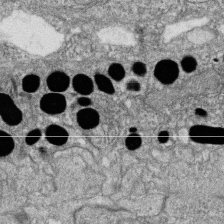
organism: Zebrafish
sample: Cilia; retinal pigment epithelium